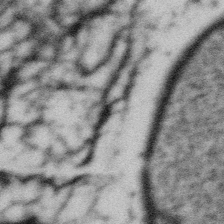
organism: Gemmata obscuriglobus